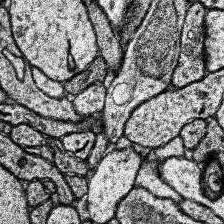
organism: Human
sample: Temporal Lobe